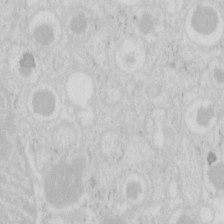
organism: Mouse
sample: Pancreas